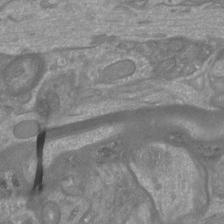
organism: Mouse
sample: Cortical neurons